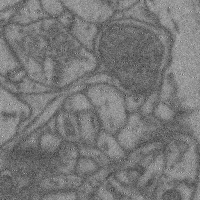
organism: Mouse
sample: Cerebral cortex